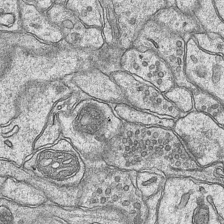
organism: Mouse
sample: CA1 Hippocampus